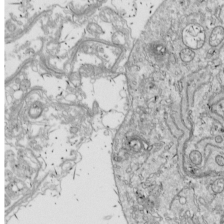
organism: Drosophila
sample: Cell division; meiosis; drosophila spermatocytes